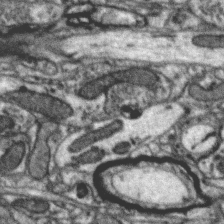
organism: Zebra finch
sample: Brain